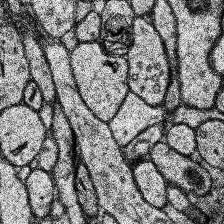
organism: Human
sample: Temporal Lobe